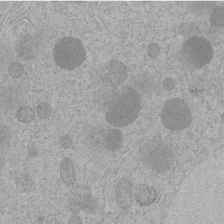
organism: C. elegans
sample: C. elegans embryo early stage